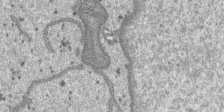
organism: Human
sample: Lung epithelial cells infected with SARS-CoV-2